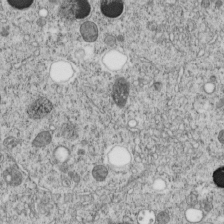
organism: C. elegans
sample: C. elegans embryo early stage